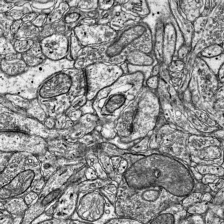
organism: Mouse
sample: Visual Cortex